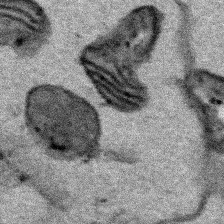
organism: Human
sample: Mitochondria in HCT116 cells